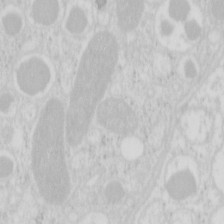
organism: Mouse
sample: Pancreas